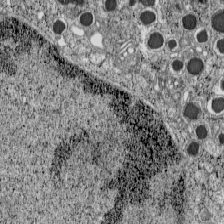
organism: C57BL Mouse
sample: Pancreatic islet